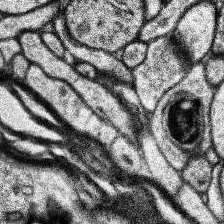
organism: Human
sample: Temporal Lobe